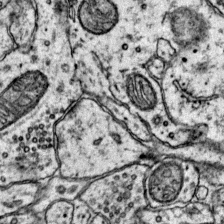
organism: Mouse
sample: Primary visual cortex